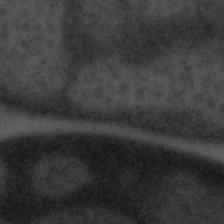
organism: Tuwongella immobilis